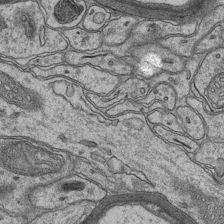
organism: Mouse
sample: CA1 Hippocampus